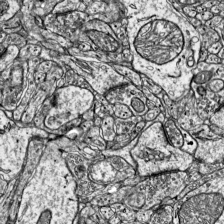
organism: Mouse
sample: Visual Cortex